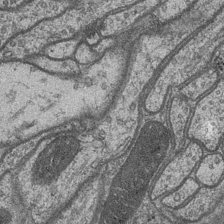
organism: Drosophila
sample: Optic medulla